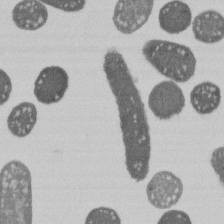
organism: E. coli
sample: Bacterial nucleoid